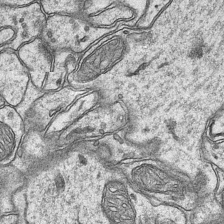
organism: Mouse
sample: CA1 Hippocampus